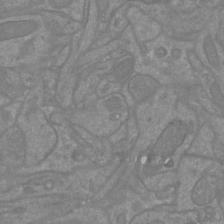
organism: Mouse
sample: Cortical neurons